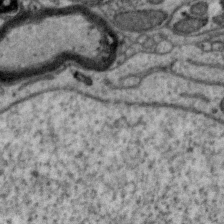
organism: Zebra finch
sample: Brain